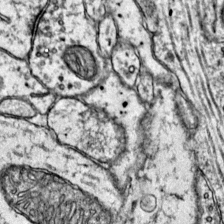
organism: Mouse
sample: Primary visual cortex